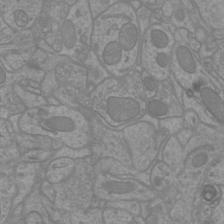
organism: Mouse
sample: Cortical neurons